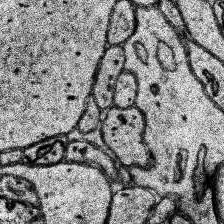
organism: Human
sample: Temporal Lobe